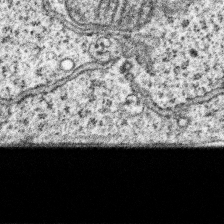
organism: Human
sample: HeLa cells